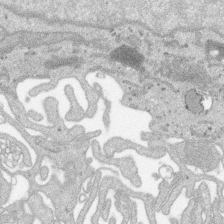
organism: Human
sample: Lung epithelial cells infected with SARS-CoV-2